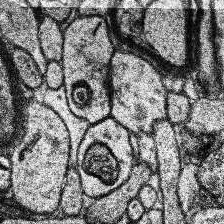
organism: Human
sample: Temporal Lobe